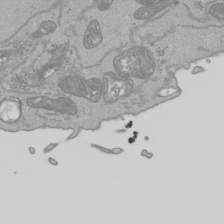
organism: Human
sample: Mitochondria in HCT116 cells